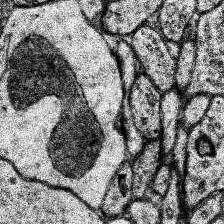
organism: Human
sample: Temporal Lobe